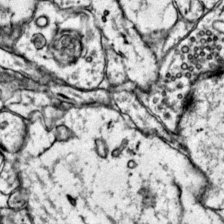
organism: Mouse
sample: Primary visual cortex